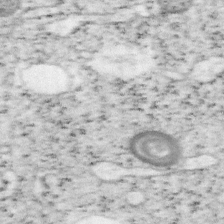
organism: Mouse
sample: OT-I killer T cells with ID8 ovarian cancer cells